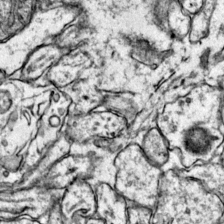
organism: Mouse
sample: Primary visual cortex